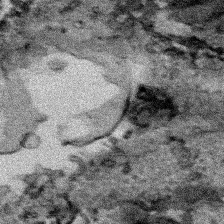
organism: Human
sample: Mitochondria in HCT116 cells